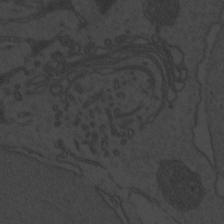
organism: Zebrafish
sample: Macrophage infected with Toxoplasma gondii